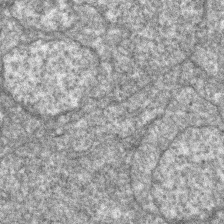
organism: Zebrafish